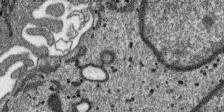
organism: Human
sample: Lung epithelial cells infected with SARS-CoV-2